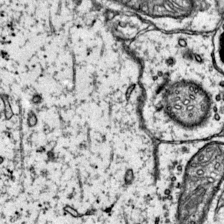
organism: Mouse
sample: Primary visual cortex